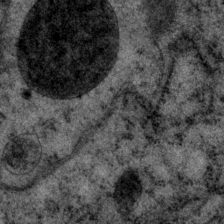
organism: P. pacificus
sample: Pharynx